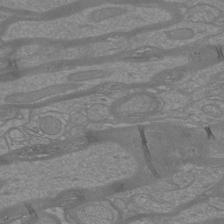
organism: Mouse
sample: Cortical neurons